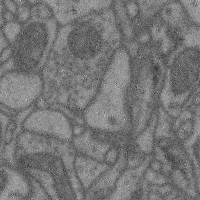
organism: Mouse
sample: Cerebral cortex